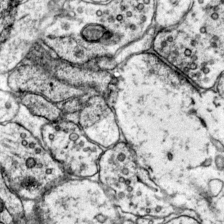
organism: Mouse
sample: Primary visual cortex